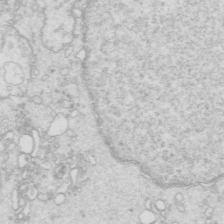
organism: Mouse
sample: Multiciliated cells